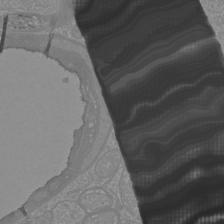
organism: Mouse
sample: Cortical neurons